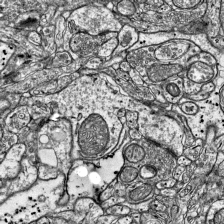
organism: Mouse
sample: Visual Cortex